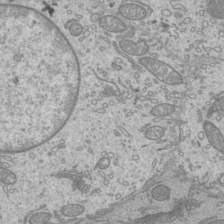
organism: Mouse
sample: Cilia; mouse epididymis